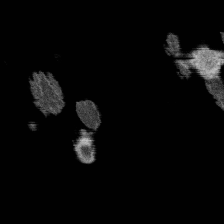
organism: C. elegans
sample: C. elegans oocyte; sperm cells